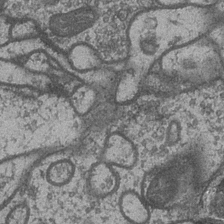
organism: Drosophila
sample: Optic medulla